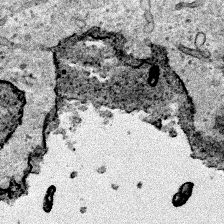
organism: Human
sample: Mitochondria in HCT116 cells